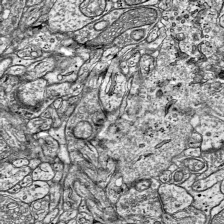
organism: Mouse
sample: Visual Cortex